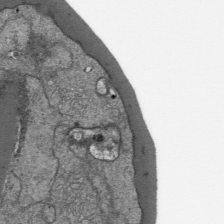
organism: Plasmodium falciparum